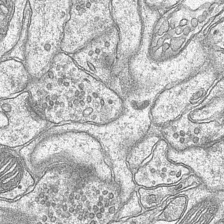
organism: Mouse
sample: CA1 Hippocampus